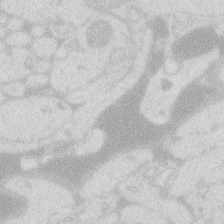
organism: Zebrafish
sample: Macrophage